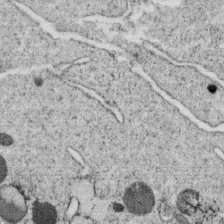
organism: C. elegans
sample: C. elegans oocyte; sperm cells